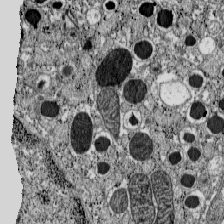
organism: C57BL Mouse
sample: Pancreatic islet